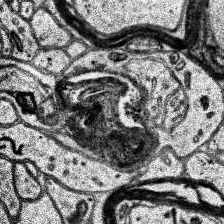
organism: Human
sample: Temporal Lobe